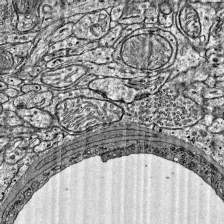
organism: Mouse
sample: Visual Cortex